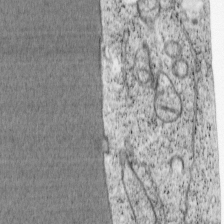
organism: African green monkey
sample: COS-7 cells